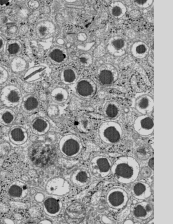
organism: C57BL Mouse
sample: Pancreatic islet